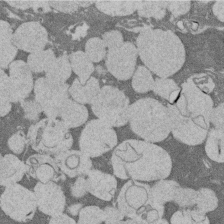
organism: Rat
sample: Salivary granule